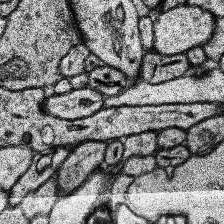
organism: Human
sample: Temporal Lobe